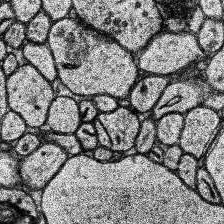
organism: Human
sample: Temporal Lobe